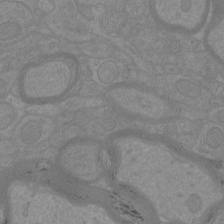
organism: Mouse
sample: Cortical neurons